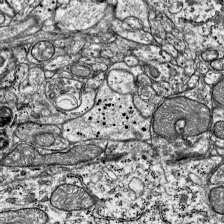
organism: Mouse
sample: Visual Cortex